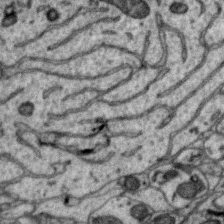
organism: Zebra finch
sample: Brain